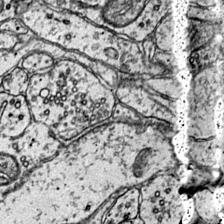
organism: Mouse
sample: Primary visual cortex